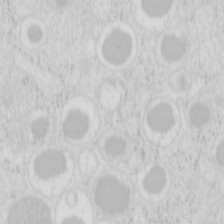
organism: Mouse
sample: Pancreas